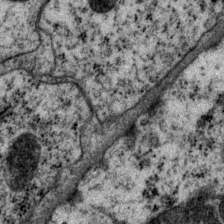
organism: P. pacificus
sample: Pharynx